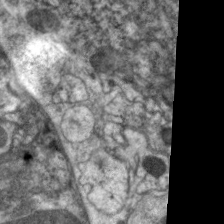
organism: C. elegans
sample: Pharynx